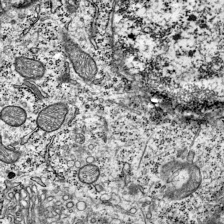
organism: Mouse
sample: Visual Cortex